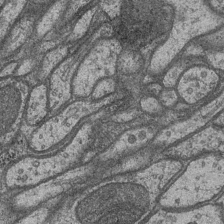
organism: Drosophila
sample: Optic medulla